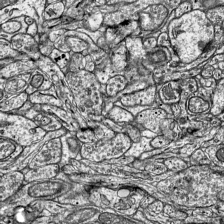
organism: Mouse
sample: Visual Cortex